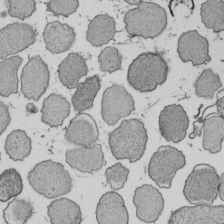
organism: E. coli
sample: Bacterial nucleoid